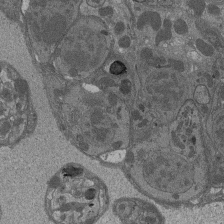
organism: Drosophila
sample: Antenna